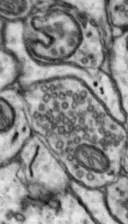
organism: Mouse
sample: Nucleus accumbens